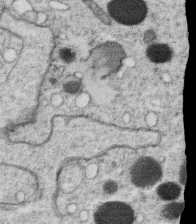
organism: C. elegans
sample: C. elegans oocyte; sperm cells